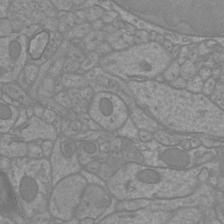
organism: Mouse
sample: Cortical neurons